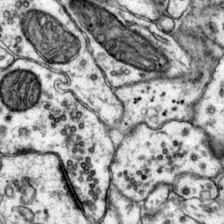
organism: Mouse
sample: Primary visual cortex